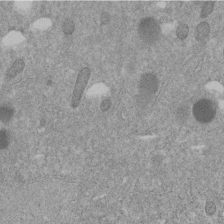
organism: C. elegans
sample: C. elegans embryo early stage